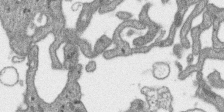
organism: Human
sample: Lung epithelial cells infected with SARS-CoV-2